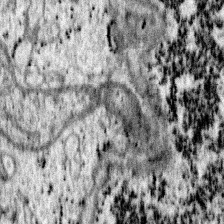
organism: Human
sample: HeLa cells